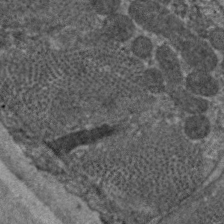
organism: C. elegans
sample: Pharynx